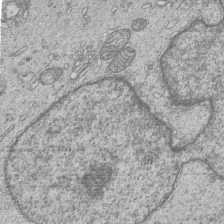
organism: Human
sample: MDA-MB-231 cells